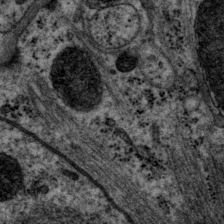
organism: P. pacificus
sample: Pharynx